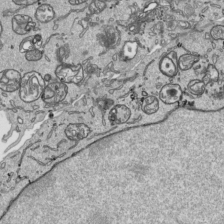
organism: Human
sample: Mitochondria in HCT116 cells